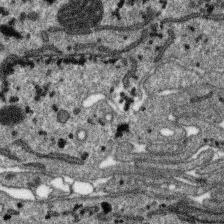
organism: Human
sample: Lung epithelial cells infected with SARS-CoV-2